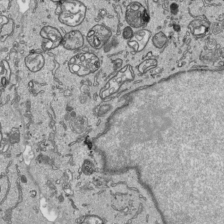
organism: Human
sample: Mitochondria in HCT116 cells